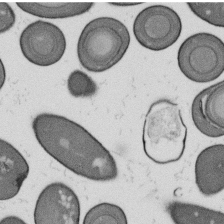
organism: B. subtilis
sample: Bacterial spore